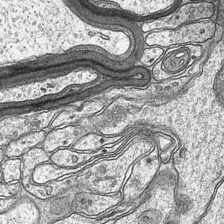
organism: Mouse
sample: CA1 Hippocampus